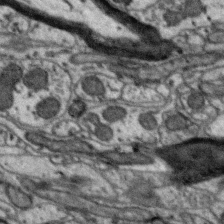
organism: Zebra finch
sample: Brain